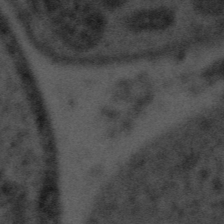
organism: Tuwongella immobilis